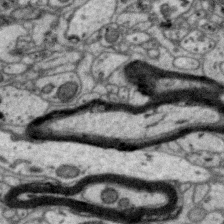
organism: Zebra finch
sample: Brain